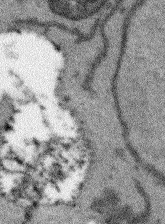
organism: Arabidopsis thaliana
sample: Root tip